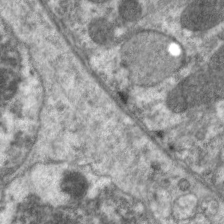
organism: C. elegans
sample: Pharynx